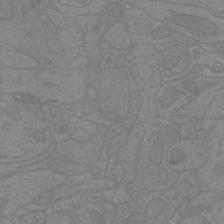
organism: Mouse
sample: Cortical neurons